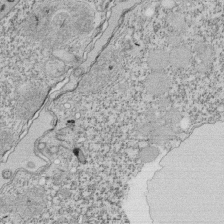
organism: Tetrahymena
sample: Cilia in tetrahymena